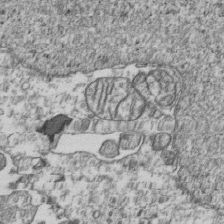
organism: Human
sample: Activated Jurkat CD4+ T cells